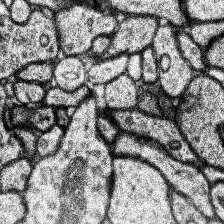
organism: Human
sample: Temporal Lobe